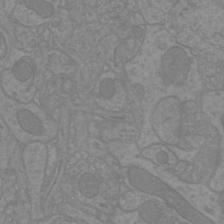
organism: Mouse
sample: Cortical neurons